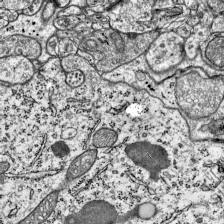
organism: Mouse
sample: Visual Cortex